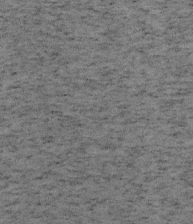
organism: Mouse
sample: OT-I killer T cells with ID8 ovarian cancer cells